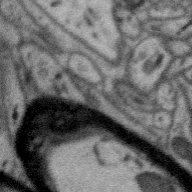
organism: Zebra finch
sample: Brain